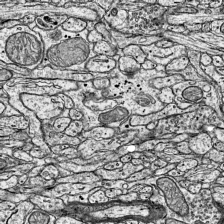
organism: Mouse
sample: Visual Cortex